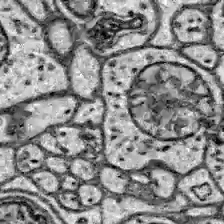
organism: Zebrafish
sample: Brain